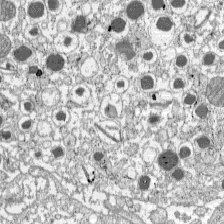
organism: C57BL Mouse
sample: Pancreatic islet